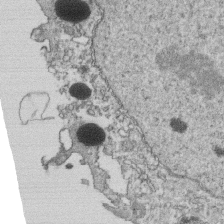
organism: Human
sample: HeLa cell HIV synapse